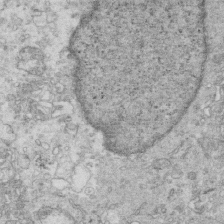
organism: Mouse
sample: Multiciliated cells